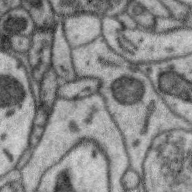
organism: Zebra finch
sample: Brain